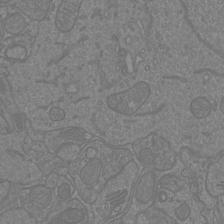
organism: Mouse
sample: Cortical neurons